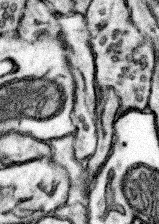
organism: Mouse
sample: Somatosensory cortex neuropil